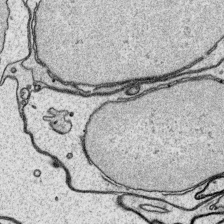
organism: Platynereis dumerilii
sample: Parapodia